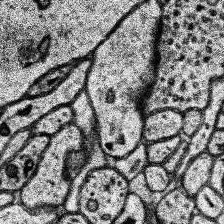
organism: Human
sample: Temporal Lobe